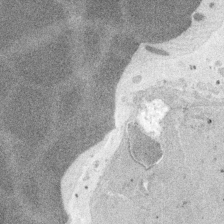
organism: Embia sp.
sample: Silk gland